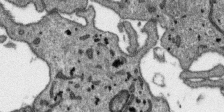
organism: Human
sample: Lung epithelial cells, uninfected (mock) control